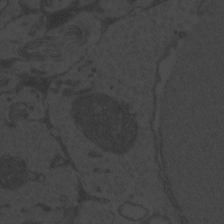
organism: Zebrafish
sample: Macrophage infected with Toxoplasma gondii